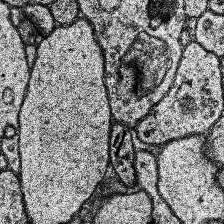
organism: Human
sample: Temporal Lobe